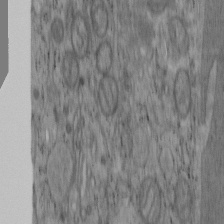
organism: Human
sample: HeLa cells